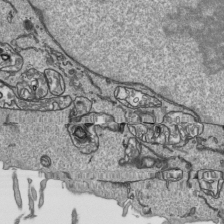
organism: Human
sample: Mitochondria in HCT116 cells